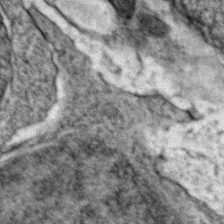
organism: Zebrafish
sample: Zebrafish embryo